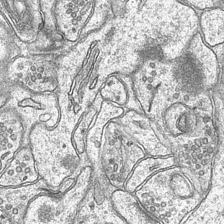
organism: Mouse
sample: CA1 Hippocampus